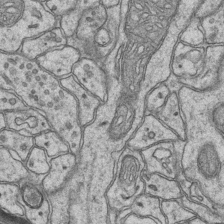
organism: Mouse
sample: CA1 Hippocampus